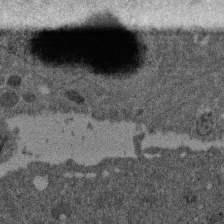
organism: Mouse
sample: Dividing mouse embryo 1 cell stage